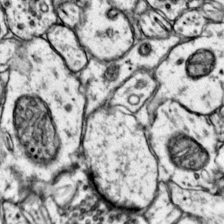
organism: Mouse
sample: Primary visual cortex